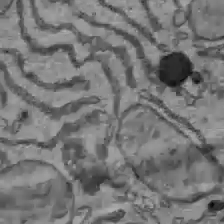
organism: C57BL Mouse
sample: Liver